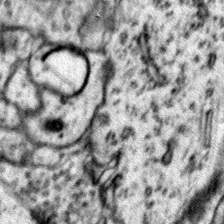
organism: Mouse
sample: Primary visual cortex